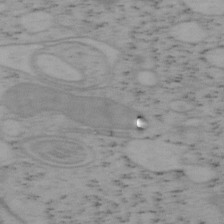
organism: Mouse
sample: OT-I killer T cells with ID8 ovarian cancer cells